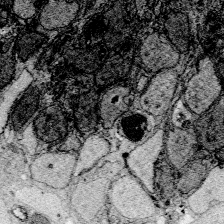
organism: Zebrafish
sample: Whole-Brain